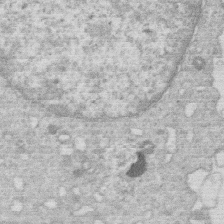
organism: Human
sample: Macrophage cells